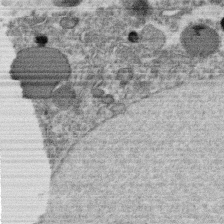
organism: C. elegans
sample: C. elegans oocyte; sperm cells